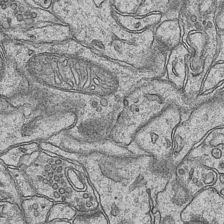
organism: Mouse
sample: CA1 Hippocampus